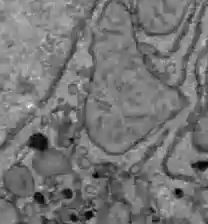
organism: C57BL Mouse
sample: Liver